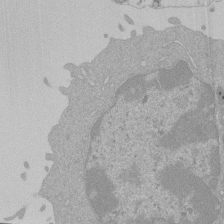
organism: Mouse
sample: Activated Pmel transgenic CD8+ T Cells